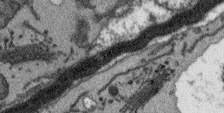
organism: Arabidopsis thaliana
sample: Root tip